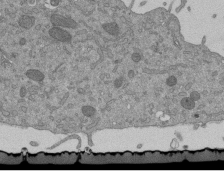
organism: Mouse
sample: ED-1 cell nuclei; centrioles